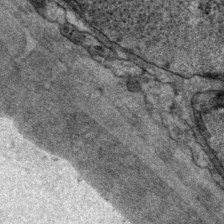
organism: P. pacificus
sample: Pharynx